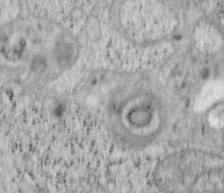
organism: Mouse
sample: OT-I killer T cells with ID8 ovarian cancer cells